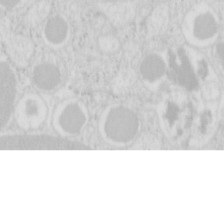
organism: Mouse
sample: Pancreas